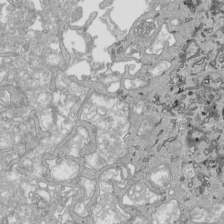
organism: Human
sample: Mitochondria in HCT116 cells